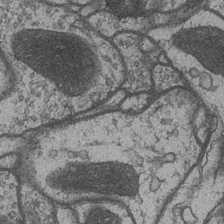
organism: Drosophila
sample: Optic medulla